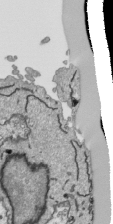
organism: Human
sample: Mitochondria in HCT116 cells